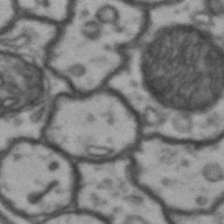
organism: Drosophila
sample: Brain